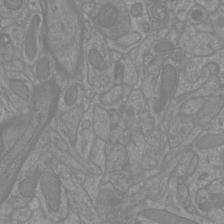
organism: Mouse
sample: Cortical neurons